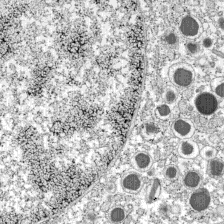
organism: C57BL Mouse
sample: Pancreatic islet